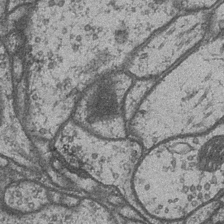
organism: Drosophila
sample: Optic medulla